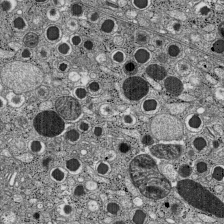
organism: C57BL Mouse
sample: Pancreatic islet